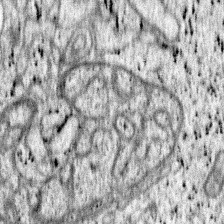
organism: Human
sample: HeLa cells